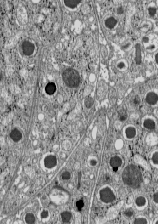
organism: C57BL Mouse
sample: Pancreatic islet